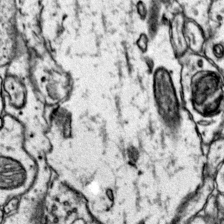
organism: Mouse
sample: Primary visual cortex